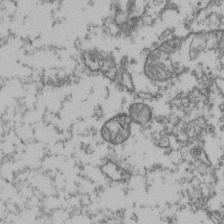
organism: Human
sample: Activated Jurkat CD4+ T cells